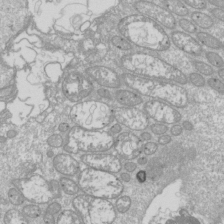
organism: Drosophila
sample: Cell division; meiosis; drosophila spermatocytes